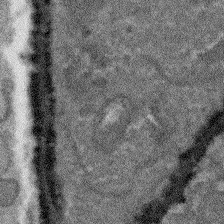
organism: Arabidopsis thaliana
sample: Root tip